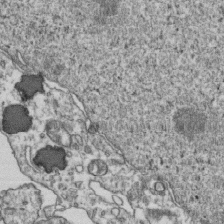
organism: Human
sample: Activated Jurkat CD4+ T cells